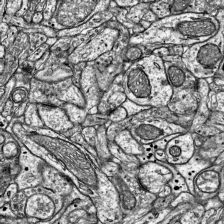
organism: Mouse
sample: Visual Cortex